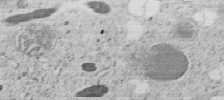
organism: C. elegans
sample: C. elegans embryo early stage